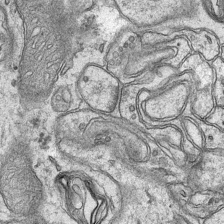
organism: Mouse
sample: CA1 Hippocampus